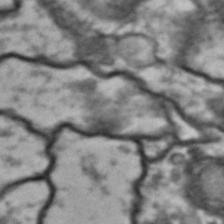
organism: Drosophila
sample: Brain